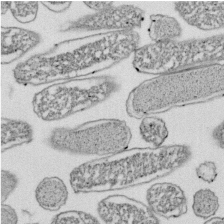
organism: E. coli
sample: Bacterial nucleoid